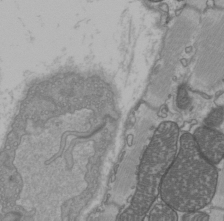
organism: C57BL Mouse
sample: Heart